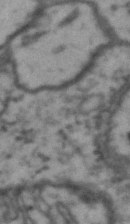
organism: Drosophila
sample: Brain